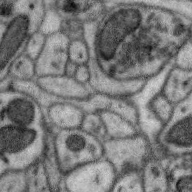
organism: Zebra finch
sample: Brain